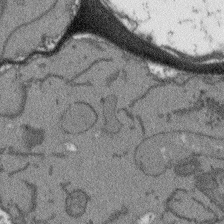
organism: Arabidopsis thaliana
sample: Root tip